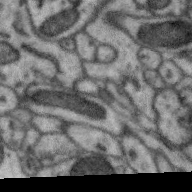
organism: Zebra finch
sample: Brain